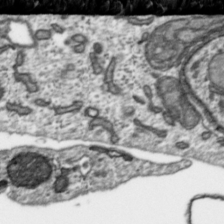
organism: Toxoplasma gondii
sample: Parasites in a vacuole inside a host cell